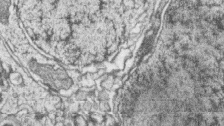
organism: Zebrafish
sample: synaptic ribbons in rod cells and cone cells